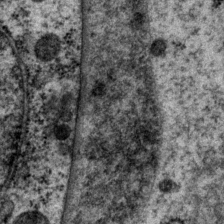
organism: P. pacificus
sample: Pharynx